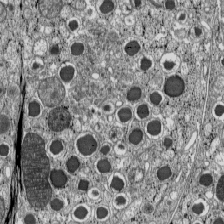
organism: C57BL Mouse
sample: Pancreatic islet